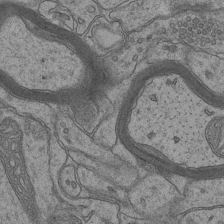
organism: Mouse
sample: CA1 Hippocampus